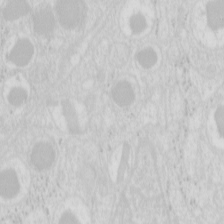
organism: Mouse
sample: Pancreas